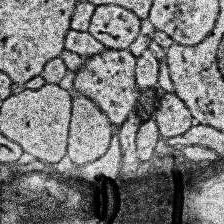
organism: Human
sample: Temporal Lobe